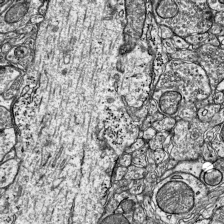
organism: Mouse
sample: Visual Cortex